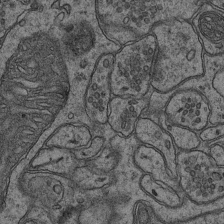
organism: Mouse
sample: CA1 Hippocampus